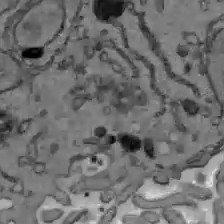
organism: C57BL Mouse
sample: Liver